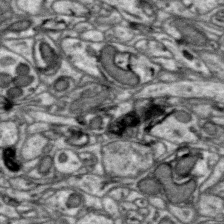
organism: Zebra finch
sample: Brain